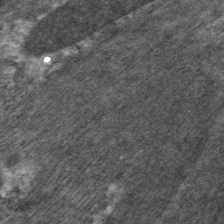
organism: C. elegans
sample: Pharynx